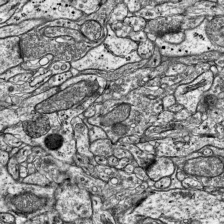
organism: Mouse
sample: Visual Cortex